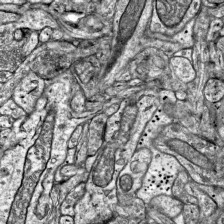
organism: Mouse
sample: Visual Cortex